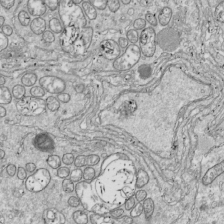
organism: Drosophila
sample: Cell division; meiosis; drosophila spermatocytes